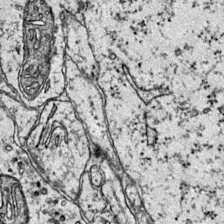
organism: Mouse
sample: Primary visual cortex